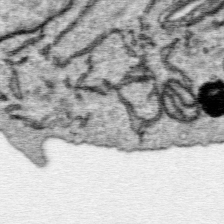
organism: Human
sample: HeLa cells